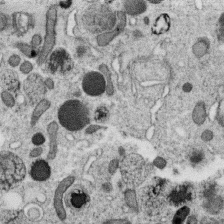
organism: C. elegans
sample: C. elegans oocyte; sperm cells